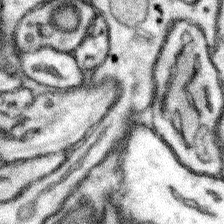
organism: Mouse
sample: Somatosensory cortex neuropil